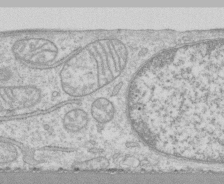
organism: Human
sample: CRL-1474